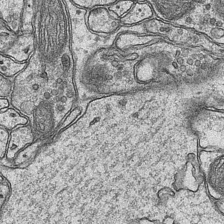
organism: Mouse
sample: CA1 Hippocampus